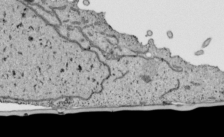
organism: Human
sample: Mitochondria in HCT116 cells